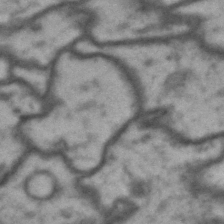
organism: Drosophila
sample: Brain